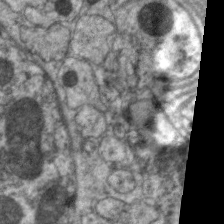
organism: C. elegans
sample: Pharynx